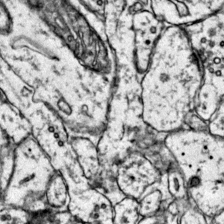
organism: Mouse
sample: Primary visual cortex